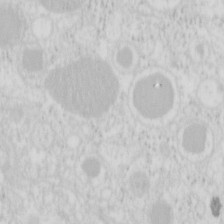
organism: Mouse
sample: Pancreas